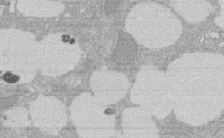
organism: Rat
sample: Salivary granule